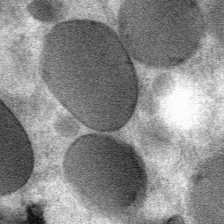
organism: Mouse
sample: Mouse Salivary gland